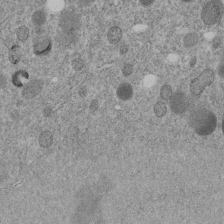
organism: C. elegans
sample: C. elegans embryo early stage